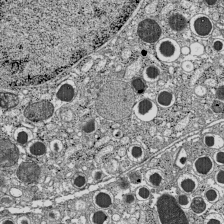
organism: C57BL Mouse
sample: Pancreatic islet